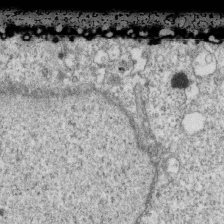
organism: Human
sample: HeLa cell HIV synapse